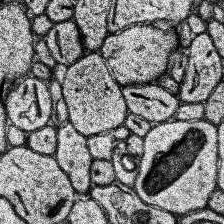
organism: Human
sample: Temporal Lobe